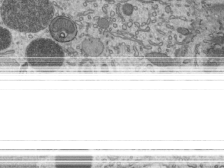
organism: Mouse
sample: Mouse epididymis efferent ductule cilia